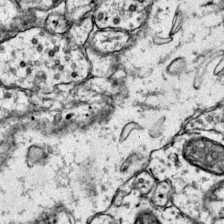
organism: Mouse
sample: Primary visual cortex